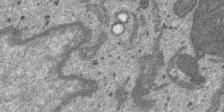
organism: Human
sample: Lung epithelial cells infected with SARS-CoV-2